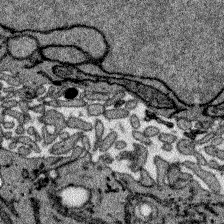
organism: Zebrafish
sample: Larval olfactory bulb